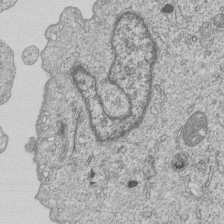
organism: Human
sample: MDA-MB-231 cells